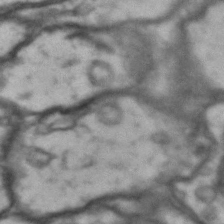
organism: Drosophila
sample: Brain